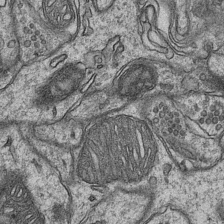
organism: Mouse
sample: CA1 Hippocampus